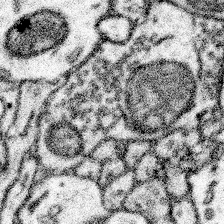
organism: Mouse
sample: Somatosensory cortex neuropil